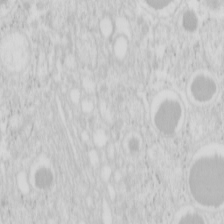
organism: Mouse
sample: Pancreas